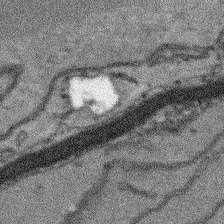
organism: Arabidopsis thaliana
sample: Root tip